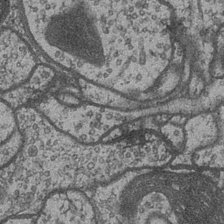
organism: Drosophila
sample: Optic medulla